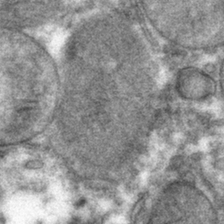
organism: Mouse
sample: Mouse hepatocytes